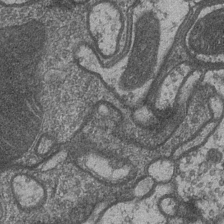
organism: Drosophila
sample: Optic medulla